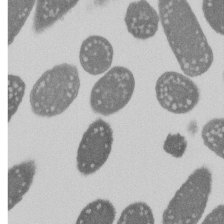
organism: E. coli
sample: Bacterial nucleoid